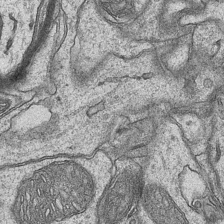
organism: Mouse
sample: CA1 Hippocampus